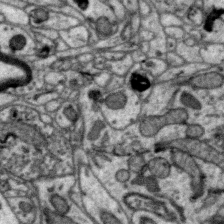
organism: Zebra finch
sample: Brain